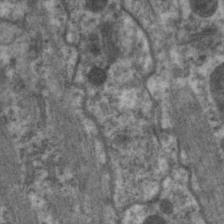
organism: C. elegans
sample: Pharynx